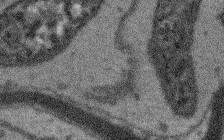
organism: Arabidopsis thaliana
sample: Root tip